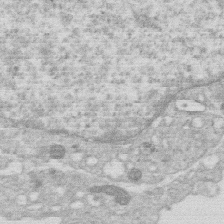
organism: Human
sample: Macrophage cells